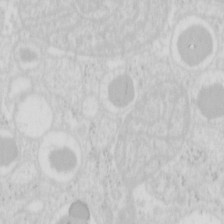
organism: Mouse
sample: Pancreas